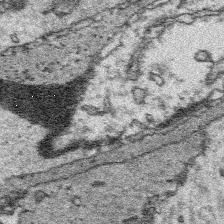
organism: Platynereis dumerilii